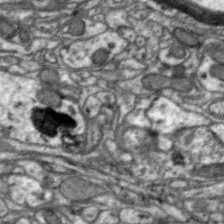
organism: Zebra finch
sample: Brain